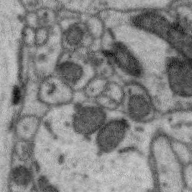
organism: Zebra finch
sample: Brain